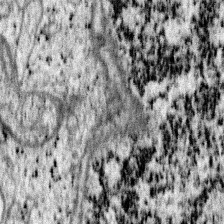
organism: Human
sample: HeLa cells